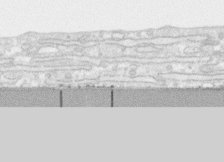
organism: Human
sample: CRL-1474